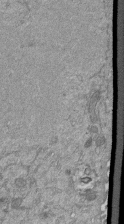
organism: Mouse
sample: ED-1 cell nuclei; centrioles